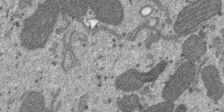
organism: Human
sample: Lung epithelial cells infected with SARS-CoV-2